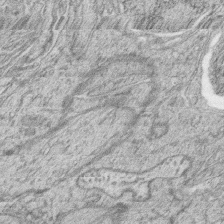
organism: Zebrafish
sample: synaptic ribbons in rod cells and cone cells